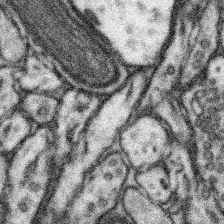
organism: Mouse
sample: Somatosensory cortex neuropil